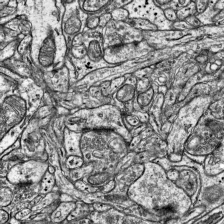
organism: Mouse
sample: Visual Cortex